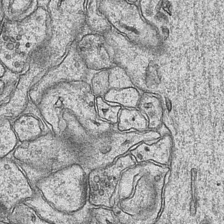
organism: Mouse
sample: CA1 Hippocampus